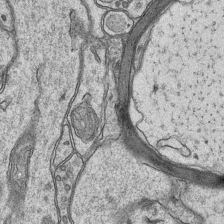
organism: Mouse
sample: CA1 Hippocampus